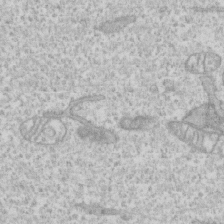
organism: Human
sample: CRL-1474